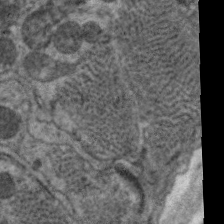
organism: C. elegans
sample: Pharynx